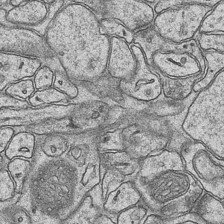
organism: Mouse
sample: CA1 Hippocampus